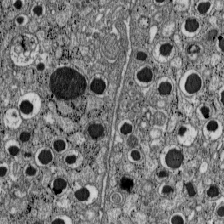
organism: C57BL Mouse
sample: Pancreatic islet